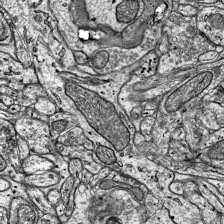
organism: Mouse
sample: Visual Cortex